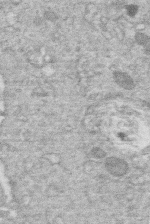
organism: Human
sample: Macrophage cells